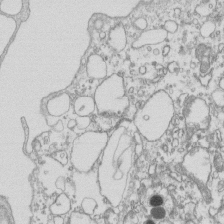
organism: Mouse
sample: Macrophages